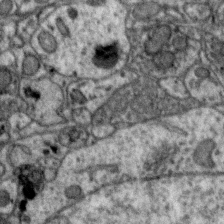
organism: Zebra finch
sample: Brain